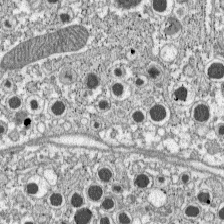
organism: C57BL Mouse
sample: Pancreatic islet